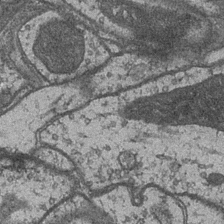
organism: Drosophila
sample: Optic medulla